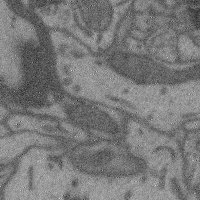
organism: Mouse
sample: Cerebral cortex